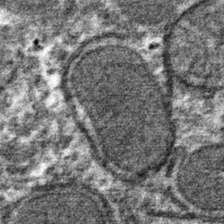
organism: Mouse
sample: Mouse hepatocytes